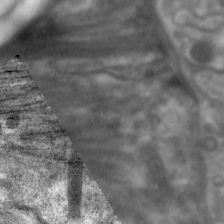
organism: C. elegans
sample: Pharynx